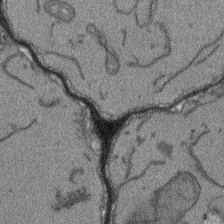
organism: Arabidopsis thaliana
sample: Root tip